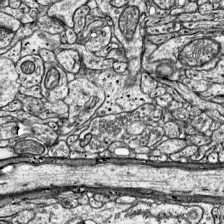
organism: Mouse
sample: Visual Cortex